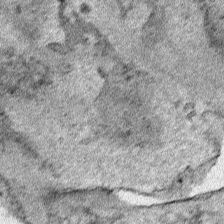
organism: Human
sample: Mitochondria in HCT116 cells